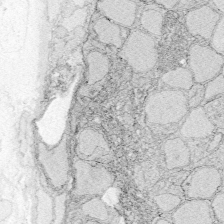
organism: Zebrafish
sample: Whole-Brain